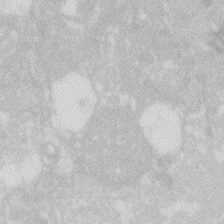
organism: Zebrafish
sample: Macrophage